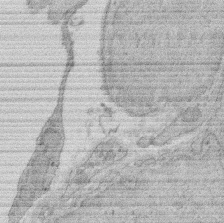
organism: Rat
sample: Salivary granule